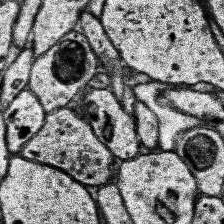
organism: Human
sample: Temporal Lobe